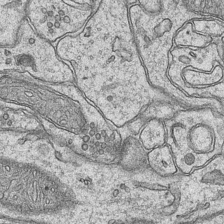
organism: Mouse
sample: CA1 Hippocampus